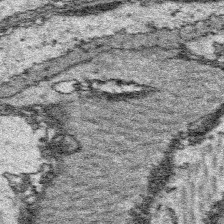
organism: Platynereis dumerilii